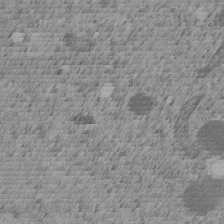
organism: C. elegans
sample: C. elegans embryo early stage